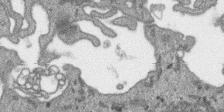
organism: Human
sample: Lung epithelial cells infected with SARS-CoV-2